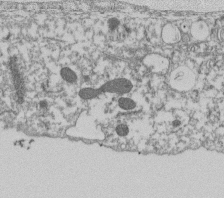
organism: Dictyostelium discoideum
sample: Dictyostelium multivesicular bodies